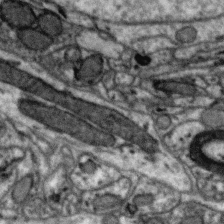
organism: Zebra finch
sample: Brain